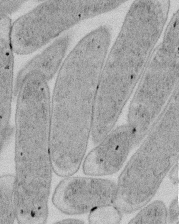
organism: E. coli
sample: Bacterial nucleoid